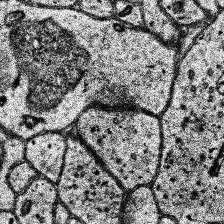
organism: Human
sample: Temporal Lobe